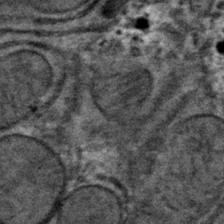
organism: Mouse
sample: Mouse hepatocytes